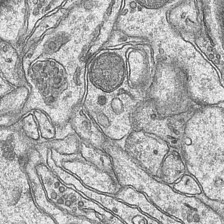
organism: Mouse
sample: CA1 Hippocampus